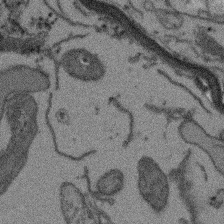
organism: Arabidopsis thaliana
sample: Root tip